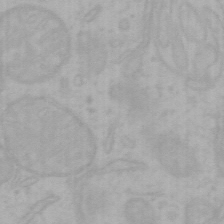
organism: Mouse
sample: Choroid plexus